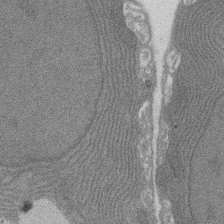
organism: Rat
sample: Salivary granule